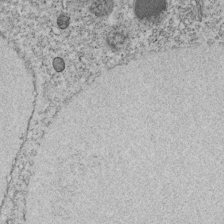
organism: C. elegans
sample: C. elegans embryo early stage